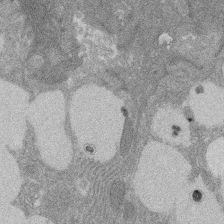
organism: Rat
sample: Salivary granule